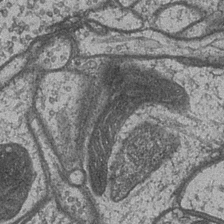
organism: Drosophila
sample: Optic medulla